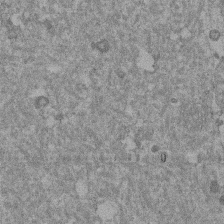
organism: Mouse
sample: Dividing mouse embryo 1 cell stage